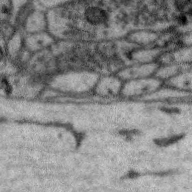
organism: Zebra finch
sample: Brain